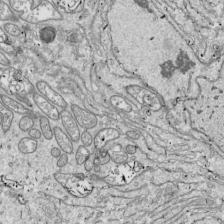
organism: Drosophila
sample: Cell division; meiosis; drosophila spermatocytes